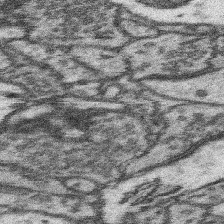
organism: Mouse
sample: Somatosensory cortex neuropil